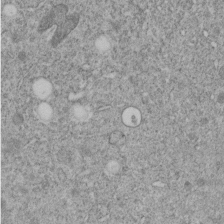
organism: C. elegans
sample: C. elegans embryo early stage